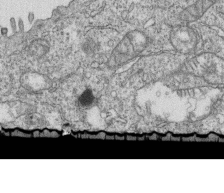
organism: Human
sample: HeLa cell HIV synapse